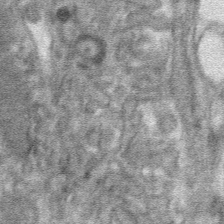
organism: Mouse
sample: Mouse hepatocytes